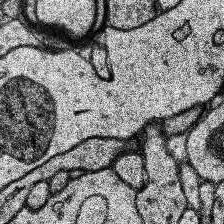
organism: Human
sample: Temporal Lobe